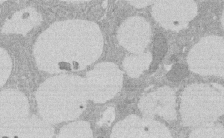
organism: Rat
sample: Salivary granule